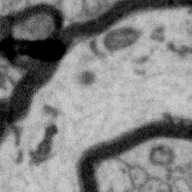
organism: Zebra finch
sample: Brain